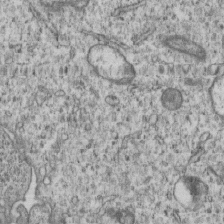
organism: Human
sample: MDA-MB-231 cells